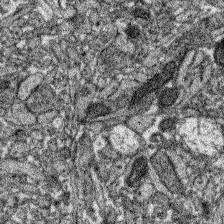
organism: Zebrafish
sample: Larval olfactory bulb